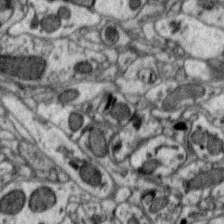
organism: Zebra finch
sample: Brain